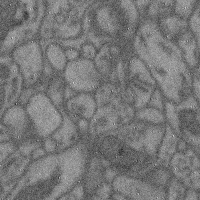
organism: Mouse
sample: Cerebral cortex